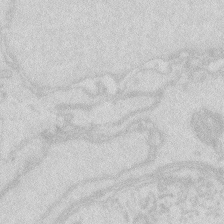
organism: Zebrafish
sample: Macrophage